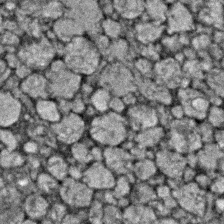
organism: Zebrafish